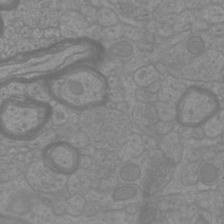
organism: Mouse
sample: Cortical neurons